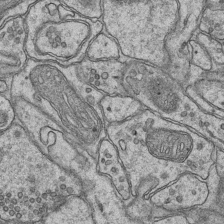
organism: Mouse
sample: CA1 Hippocampus